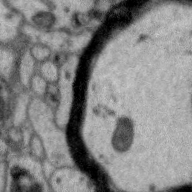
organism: Zebra finch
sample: Brain